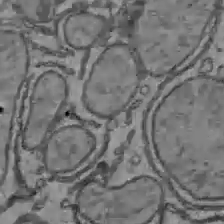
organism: C57BL Mouse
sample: Liver